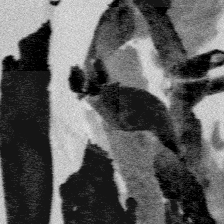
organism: Platynereis dumerilii